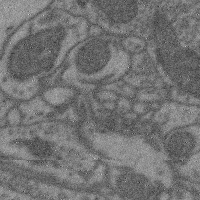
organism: Mouse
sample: Cerebral cortex